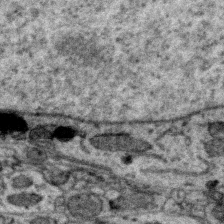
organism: Zebra finch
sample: Brain